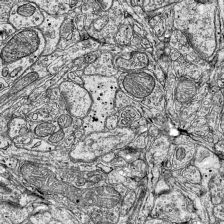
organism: Mouse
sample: Visual Cortex